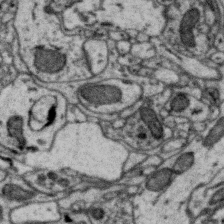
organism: Zebra finch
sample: Brain